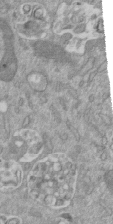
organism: Mouse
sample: ED-1 cell nuclei; centrioles